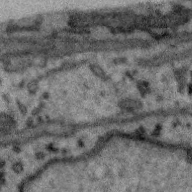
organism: Zebra finch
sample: Brain